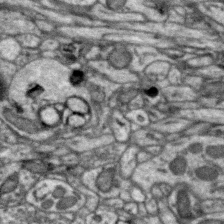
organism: Zebra finch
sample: Brain